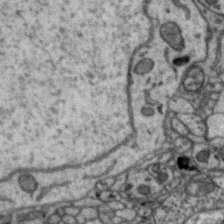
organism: Zebra finch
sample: Brain